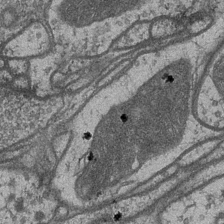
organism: Drosophila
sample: Optic medulla